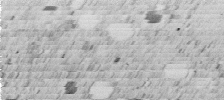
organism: C. elegans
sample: C. elegans embryo early stage